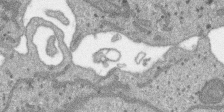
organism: Human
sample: Lung epithelial cells infected with SARS-CoV-2